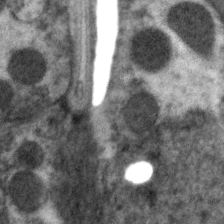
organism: C. elegans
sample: Pharynx